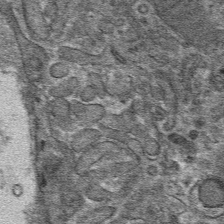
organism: Mouse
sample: Mouse hepatocytes